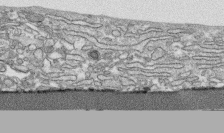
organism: Human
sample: CRL-1474